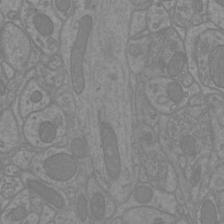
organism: Mouse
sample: Cortical neurons